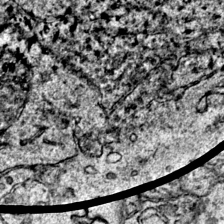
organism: Mouse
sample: Primary visual cortex